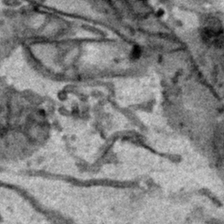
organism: Human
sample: Mitochondria in HCT116 cells